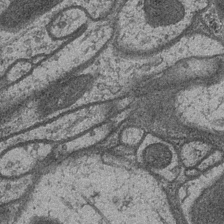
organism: Drosophila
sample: Optic medulla